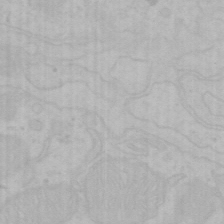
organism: Mouse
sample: Choroid plexus